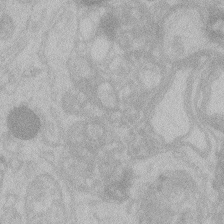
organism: Zebrafish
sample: Macrophage infected with Toxoplasma gondii